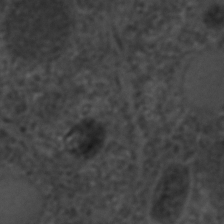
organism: C. elegans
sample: C. elegans embryo